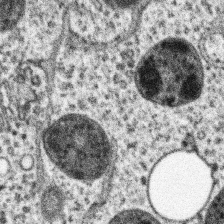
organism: Human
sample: HeLa cells